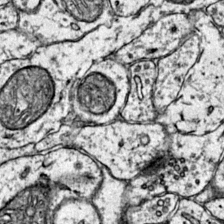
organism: Mouse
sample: Primary visual cortex